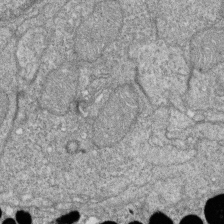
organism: Zebrafish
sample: Cilia; retinal pigment epithelium